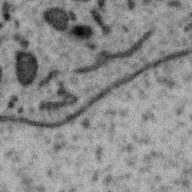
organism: Zebra finch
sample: Brain